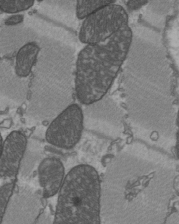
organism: C57BL Mouse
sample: Heart